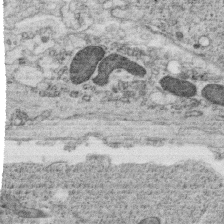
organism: C. elegans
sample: C. elegans oocyte; sperm cells